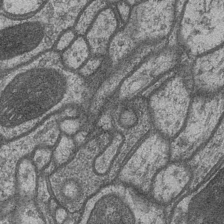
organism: Drosophila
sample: Optic medulla